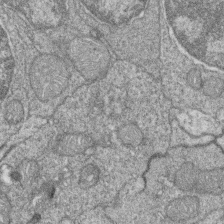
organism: Zebrafish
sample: Cilia; retinal pigment epithelium